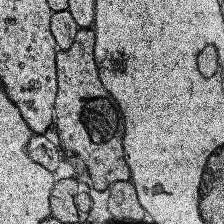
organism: Human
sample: Temporal Lobe